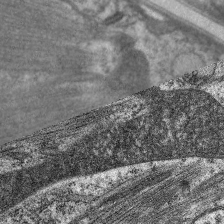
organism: C. elegans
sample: Pharynx